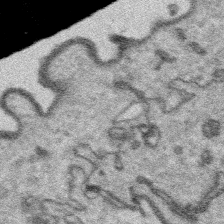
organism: Platynereis dumerilii